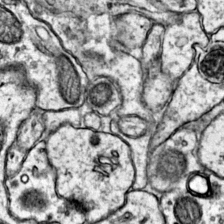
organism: Mouse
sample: Primary visual cortex